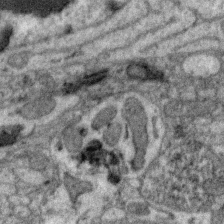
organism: Zebra finch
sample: Brain